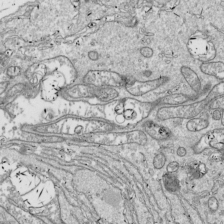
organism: Drosophila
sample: Cell division; meiosis; drosophila spermatocytes